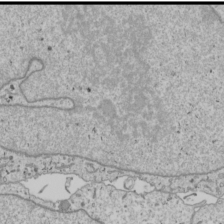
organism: Human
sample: Mitochondria in U2OS cells